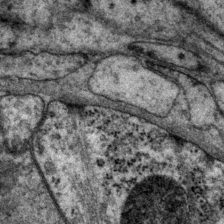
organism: P. pacificus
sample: Pharynx